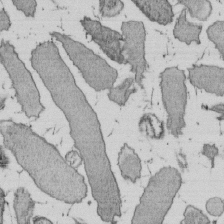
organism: E. coli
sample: Bacterial nucleoid